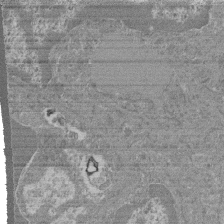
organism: Mouse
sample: Glomerulus